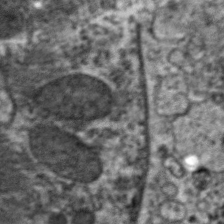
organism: C. elegans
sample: Pharynx